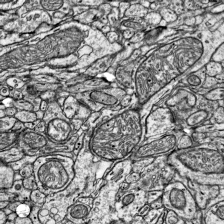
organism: Mouse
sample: Visual Cortex